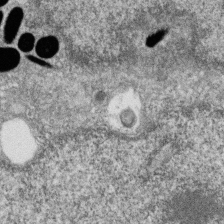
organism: Zebrafish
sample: Cilia; retinal pigment epithelium